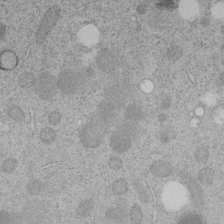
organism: C. elegans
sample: C. elegans embryo early stage